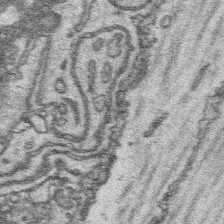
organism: Platynereis dumerilii